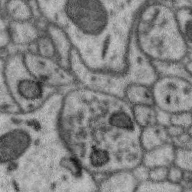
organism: Zebra finch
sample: Brain